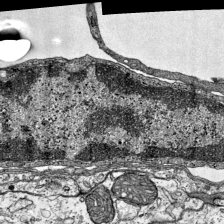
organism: Mouse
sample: Visual Cortex